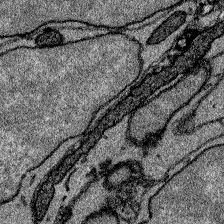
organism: Zebrafish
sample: Larval olfactory bulb